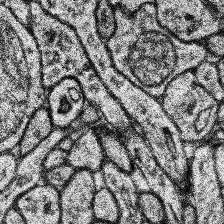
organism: Human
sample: Temporal Lobe